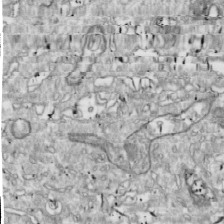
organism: Drosophila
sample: Cell division; meiosis; drosophila spermatocytes